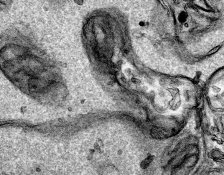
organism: Human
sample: Mitochondria in HCT116 cells